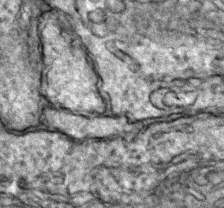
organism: Zebrafish